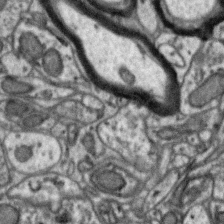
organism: Zebra finch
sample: Brain